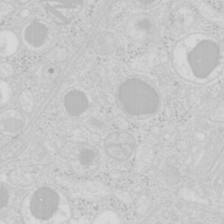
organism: Mouse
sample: Pancreas